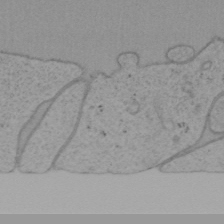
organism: Human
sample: HeLa cells